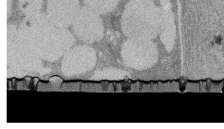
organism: Rat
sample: Salivary granule